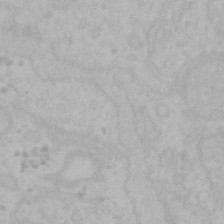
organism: Mouse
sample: Choroid plexus